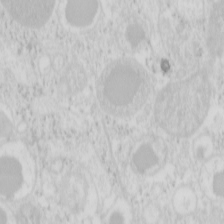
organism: Mouse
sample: Pancreas